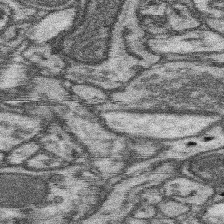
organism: Mouse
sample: Somatosensory cortex neuropil